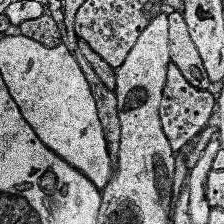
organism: Human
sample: Temporal Lobe